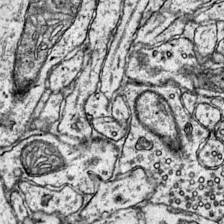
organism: Mouse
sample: Primary visual cortex